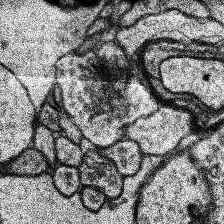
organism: Human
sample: Temporal Lobe